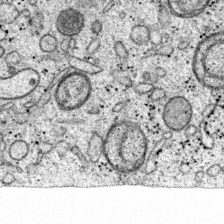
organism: Human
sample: HeLa cells